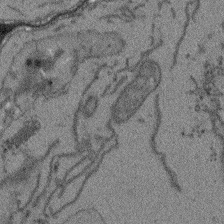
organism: Arabidopsis thaliana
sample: Root tip